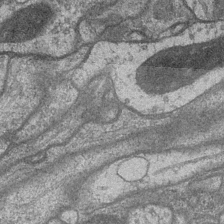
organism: Drosophila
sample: Optic medulla